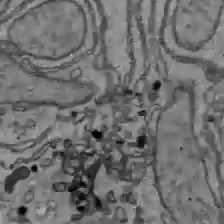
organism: C57BL Mouse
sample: Liver